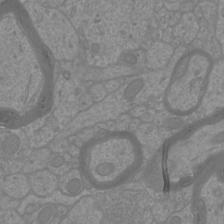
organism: Mouse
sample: Cortical neurons